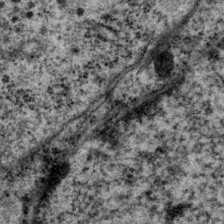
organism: P. pacificus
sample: Pharynx